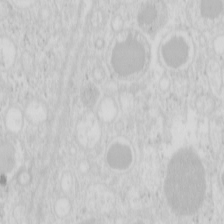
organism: Mouse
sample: Pancreas